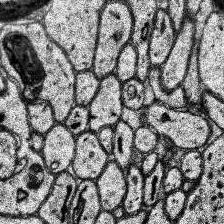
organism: Human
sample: Temporal Lobe